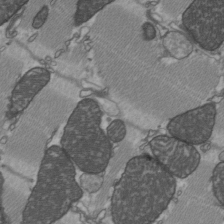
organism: C57BL Mouse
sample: Heart